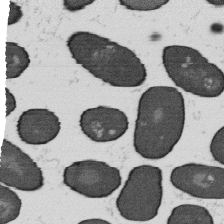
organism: B. subtilis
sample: Bacterial spore